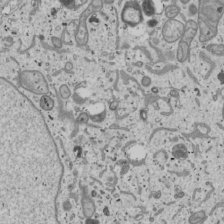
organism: Human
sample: Mitochondria in U2OS cells